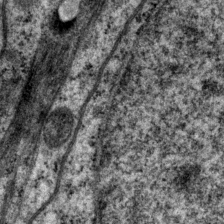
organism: P. pacificus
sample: Pharynx